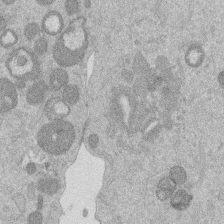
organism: Mouse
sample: Dividing mouse embryo 1 cell stage